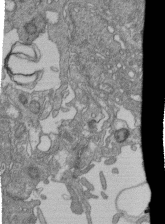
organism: Human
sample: Retinal organoid Rod and Cone cells